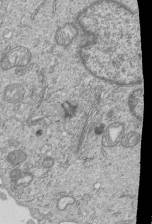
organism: Human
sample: MDA-MB-231 cells